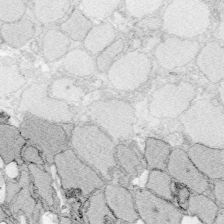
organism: Zebrafish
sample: Whole-Brain